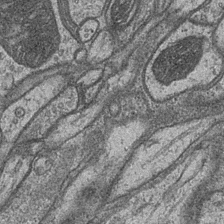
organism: Drosophila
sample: Optic medulla